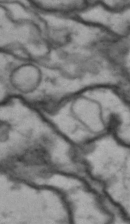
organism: Drosophila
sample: Brain